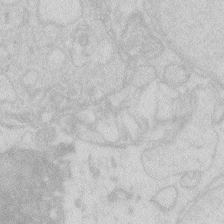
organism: Zebrafish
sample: Macrophage